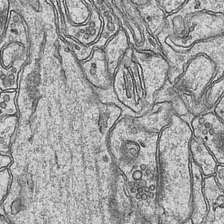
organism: Mouse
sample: CA1 Hippocampus